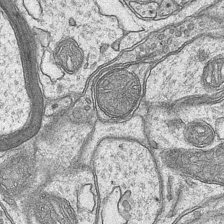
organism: Mouse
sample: CA1 Hippocampus